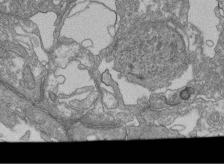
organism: Human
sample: Retinal organoid Rod and Cone cells